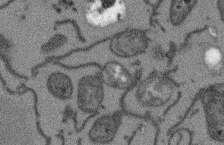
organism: Arabidopsis thaliana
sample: Root tip